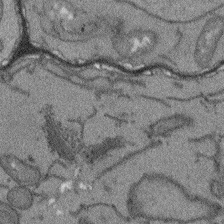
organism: Arabidopsis thaliana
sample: Root tip